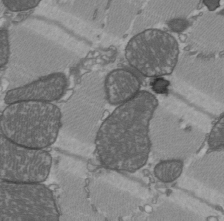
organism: C57BL Mouse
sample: Heart